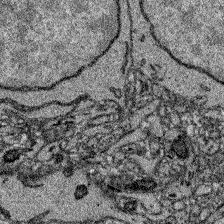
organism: Zebrafish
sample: Larval olfactory bulb